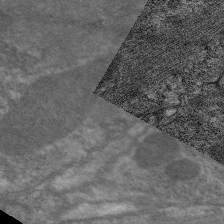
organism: C. elegans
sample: Pharynx